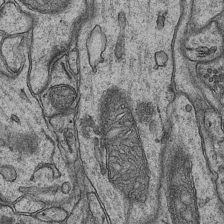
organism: Mouse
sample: CA1 Hippocampus